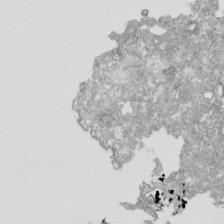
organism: Human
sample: Mitochondria in HCT116 cells